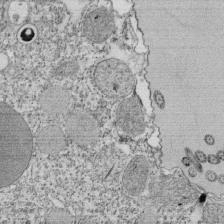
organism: Tetrahymena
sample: Cilia in tetrahymena